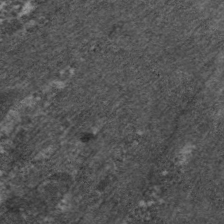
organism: C. elegans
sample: Pharynx